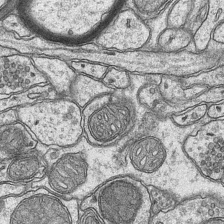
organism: Mouse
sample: CA1 Hippocampus